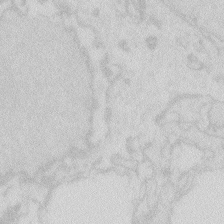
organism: Zebrafish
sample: Macrophage